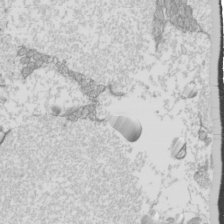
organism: Mouse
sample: Cilia; mouse epididymis